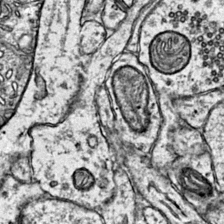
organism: Mouse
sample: Primary visual cortex